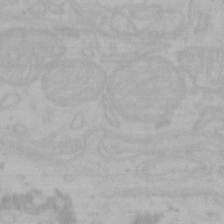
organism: Mouse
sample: Choroid plexus